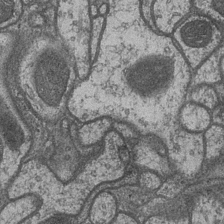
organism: Drosophila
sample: Optic medulla